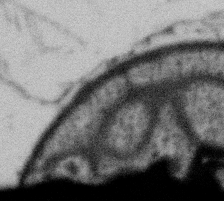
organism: Gemmata obscuriglobus